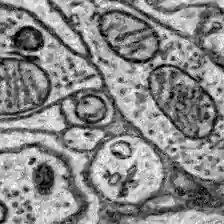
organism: Zebrafish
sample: Brain